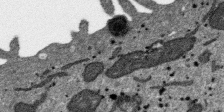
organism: Human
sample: Lung epithelial cells, uninfected (mock) control